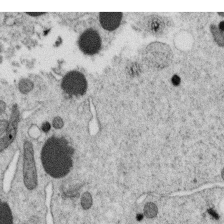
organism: C. elegans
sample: C. elegans oocyte; sperm cells